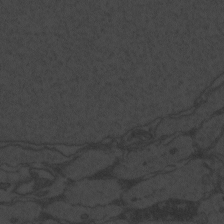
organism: Zebrafish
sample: Macrophage infected with Toxoplasma gondii